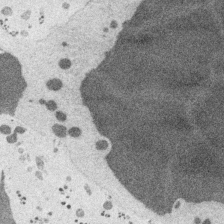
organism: Embia sp.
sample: Silk gland